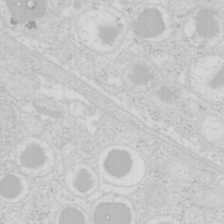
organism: Mouse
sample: Pancreas